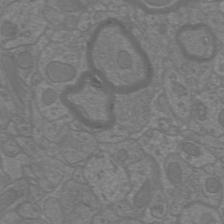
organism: Mouse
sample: Cortical neurons